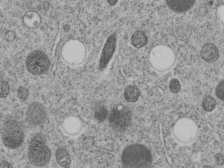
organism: C. elegans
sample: C. elegans embryo early stage